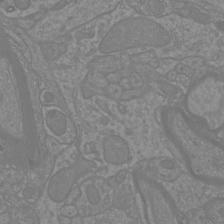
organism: Mouse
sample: Cortical neurons